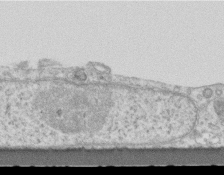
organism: Mouse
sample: Centriole in ependymal cells